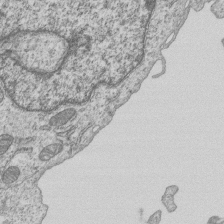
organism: Human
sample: MDA-MB-231 cells